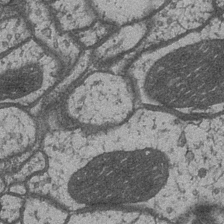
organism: Drosophila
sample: Optic medulla